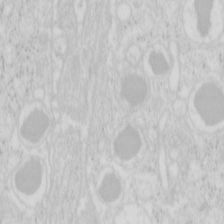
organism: Mouse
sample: Pancreas